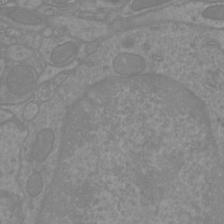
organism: Mouse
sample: Cortical neurons